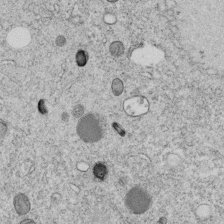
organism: C. elegans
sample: C. elegans embryo early stage